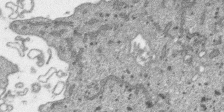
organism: Human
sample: Lung epithelial cells infected with SARS-CoV-2